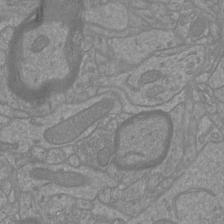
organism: Mouse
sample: Cortical neurons